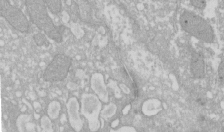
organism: Xenopus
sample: Cilia; centrioles in frog embryo cells